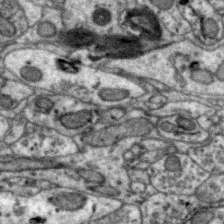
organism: Zebra finch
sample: Brain